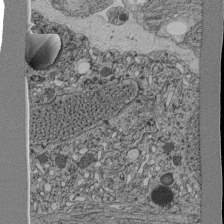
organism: C. elegans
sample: C. elegans pharynx